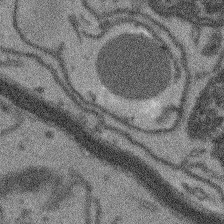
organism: Arabidopsis thaliana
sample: Root tip